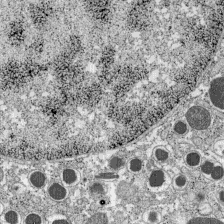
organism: C57BL Mouse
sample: Pancreatic islet